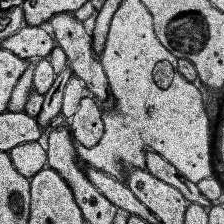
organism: Human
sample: Temporal Lobe